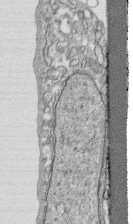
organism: Human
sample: CRL-1474